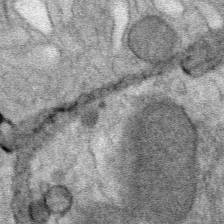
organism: Mouse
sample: Mouse Salivary gland